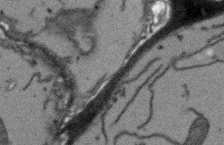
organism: Arabidopsis thaliana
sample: Root tip